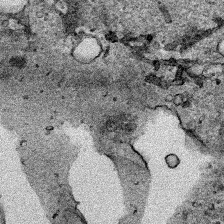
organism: Human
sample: Mitochondria in HCT116 cells